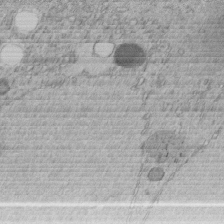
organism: C. elegans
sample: C. elegans embryo early stage